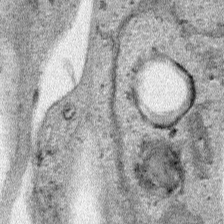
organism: Human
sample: Mitochondria in HCT116 cells